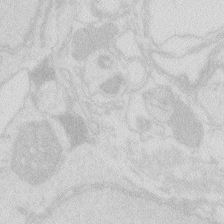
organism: Zebrafish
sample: Macrophage